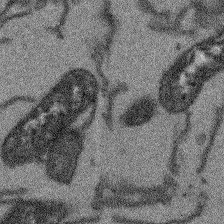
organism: Arabidopsis thaliana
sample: Root tip